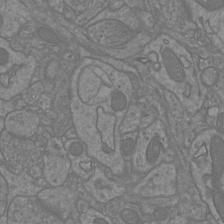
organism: Mouse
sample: Cortical neurons